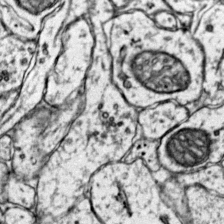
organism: Mouse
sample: Primary visual cortex